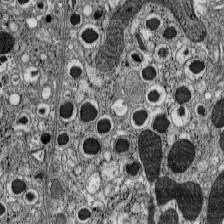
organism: C57BL Mouse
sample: Pancreatic islet